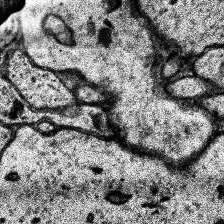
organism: Human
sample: Temporal Lobe